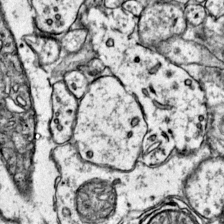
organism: Mouse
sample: Primary visual cortex